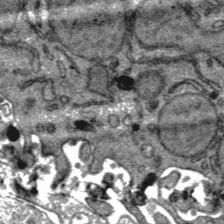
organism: C57BL Mouse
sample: Liver